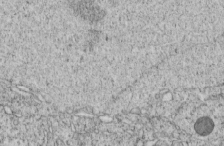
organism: C. elegans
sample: C. elegans embryo early stage